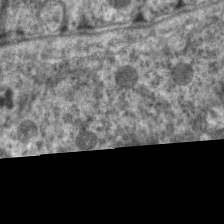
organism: C. elegans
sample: Pharynx